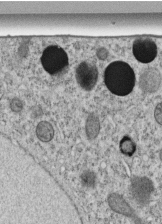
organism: C. elegans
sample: C. elegans embryo early stage